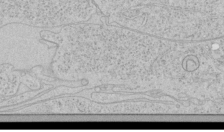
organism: Human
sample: Mitochondria in HCT116 cells